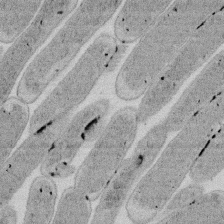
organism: E. coli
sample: Bacterial nucleoid